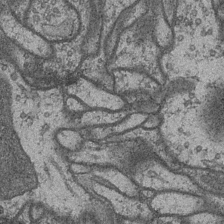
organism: Drosophila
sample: Optic medulla